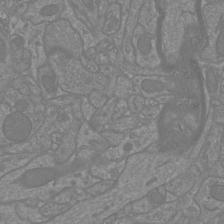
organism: Mouse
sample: Cortical neurons